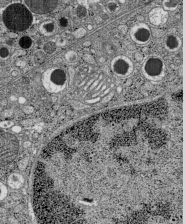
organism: C57BL Mouse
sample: Pancreatic islet